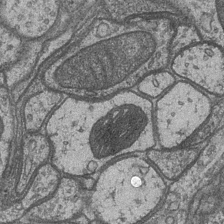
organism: Drosophila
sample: Optic medulla